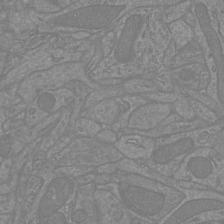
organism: Mouse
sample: Cortical neurons